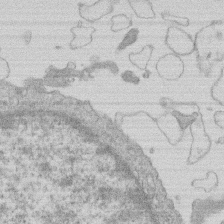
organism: Human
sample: Macrophage cells